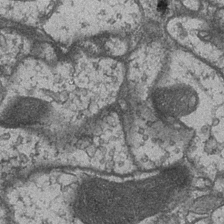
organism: Drosophila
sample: Optic medulla